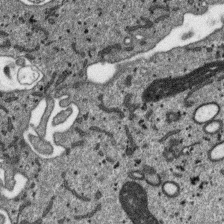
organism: Human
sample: Lung epithelial cells infected with SARS-CoV-2